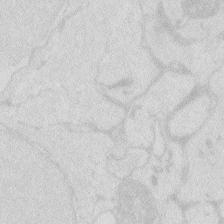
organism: Zebrafish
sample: Macrophage